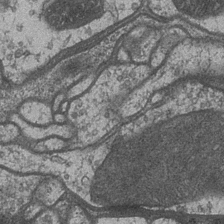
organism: Drosophila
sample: Optic medulla